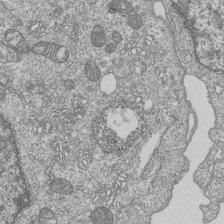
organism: Human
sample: MDA-MB-231 cells